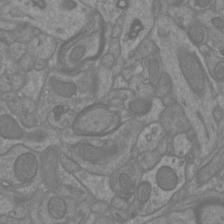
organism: Mouse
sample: Cortical neurons